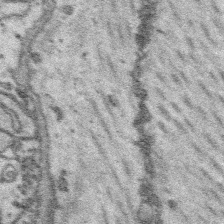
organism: Platynereis dumerilii